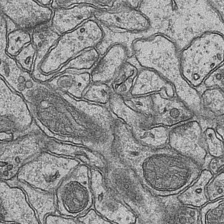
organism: Mouse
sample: CA1 Hippocampus